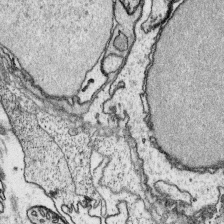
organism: Platynereis dumerilii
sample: Parapodia